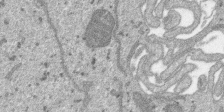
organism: Human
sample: Lung epithelial cells infected with SARS-CoV-2